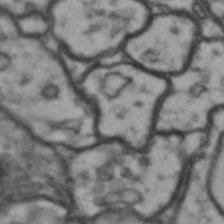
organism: Drosophila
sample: Brain